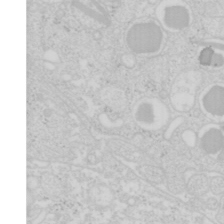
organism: Mouse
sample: Pancreas